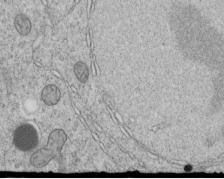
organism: C. elegans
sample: C. elegans embryo early stage